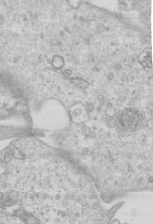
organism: Mouse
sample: Centriole in ependymal cells